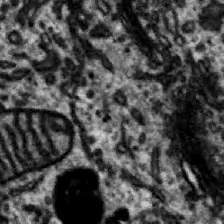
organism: Human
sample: HeLa cells